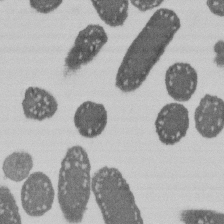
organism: E. coli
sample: Bacterial nucleoid